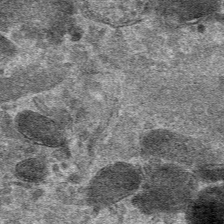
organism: Mouse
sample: Mouse hepatocytes